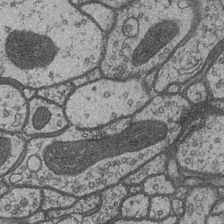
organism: Drosophila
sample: Optic medulla